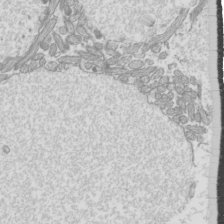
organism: Mouse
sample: Cilia; mouse epididymis